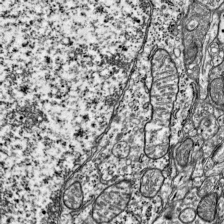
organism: Mouse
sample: Visual Cortex